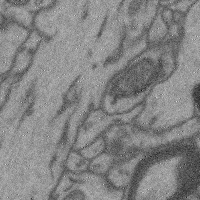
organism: Mouse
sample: Cerebral cortex